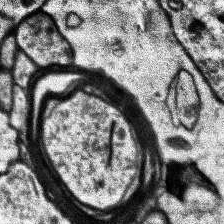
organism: Human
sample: Temporal Lobe